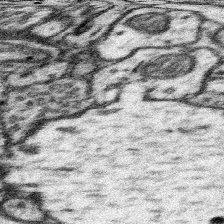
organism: Mouse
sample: Somatosensory cortex neuropil